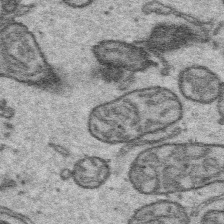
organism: Platynereis dumerilii